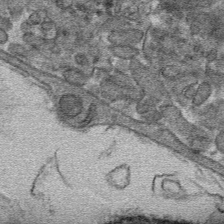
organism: Mouse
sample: Mouse hepatocytes